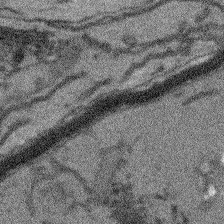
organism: Arabidopsis thaliana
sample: Root tip